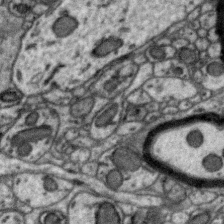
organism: Zebra finch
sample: Brain